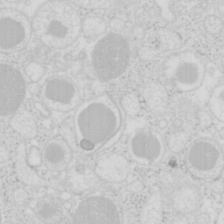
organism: Mouse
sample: Pancreas